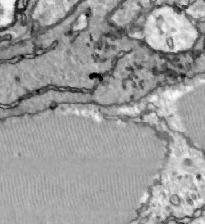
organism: Zebrafish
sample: Actinotrichia fibers